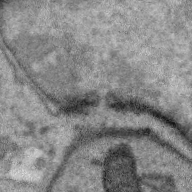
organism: Zebra finch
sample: Brain